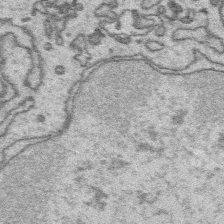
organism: Platynereis dumerilii